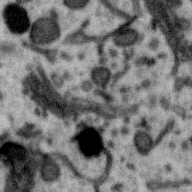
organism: Zebra finch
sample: Brain